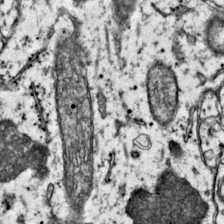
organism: Mouse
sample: Primary visual cortex